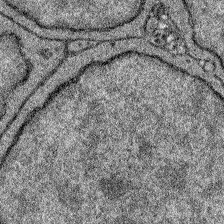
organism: Zebrafish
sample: Larval olfactory bulb